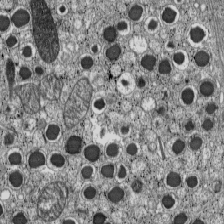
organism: C57BL Mouse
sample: Pancreatic islet